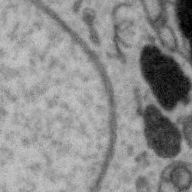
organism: Zebra finch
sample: Brain